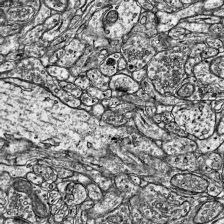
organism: Mouse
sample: Visual Cortex